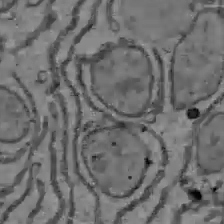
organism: C57BL Mouse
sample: Liver